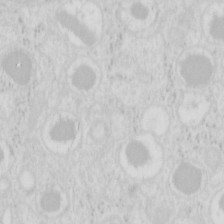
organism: Mouse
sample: Pancreas